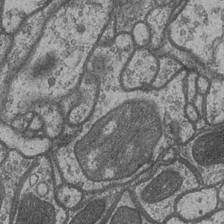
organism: Drosophila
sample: Optic medulla